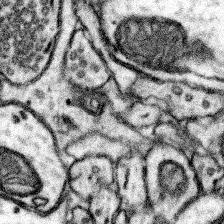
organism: Mouse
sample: Somatosensory cortex neuropil